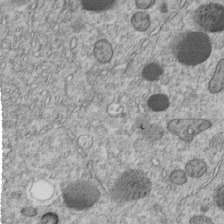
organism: C. elegans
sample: C. elegans embryo early stage